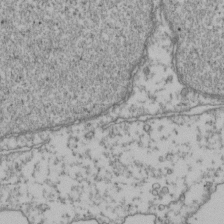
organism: Human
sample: Activated Jurkat CD4+ T cells